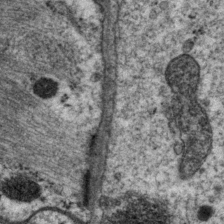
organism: P. pacificus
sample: Pharynx